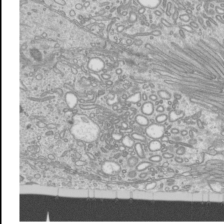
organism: Mouse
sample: Cilia; mouse epididymis